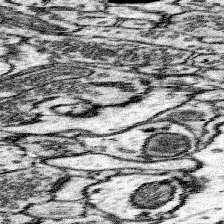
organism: Mouse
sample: Somatosensory cortex neuropil